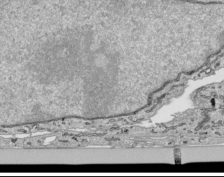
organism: Human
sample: Mitochondria in HCT116 cells